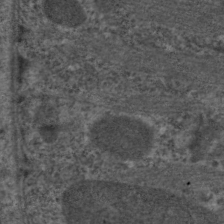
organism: C. elegans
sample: Pharynx